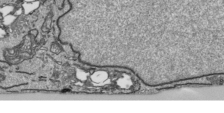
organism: Human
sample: Mitochondria in HCT116 cells